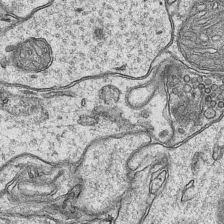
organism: Mouse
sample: CA1 Hippocampus